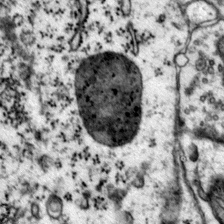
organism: Mouse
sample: Primary visual cortex